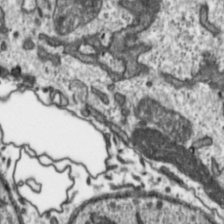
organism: Toxoplasma gondii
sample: Parasites in a vacuole inside a host cell